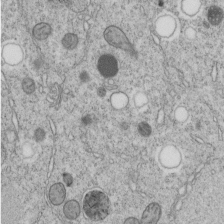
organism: C. elegans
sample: C. elegans embryo early stage